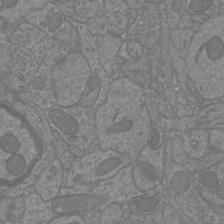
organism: Mouse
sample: Cortical neurons